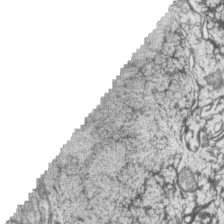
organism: Zebrafish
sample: synaptic ribbons in rod cells and cone cells